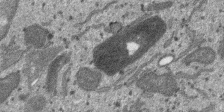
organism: Human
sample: Lung epithelial cells infected with SARS-CoV-2